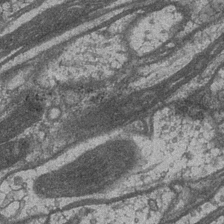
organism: Drosophila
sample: Optic medulla